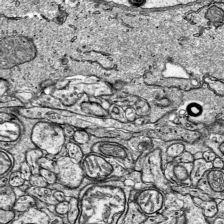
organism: Mouse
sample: Visual Cortex